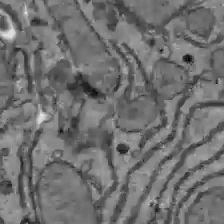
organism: C57BL Mouse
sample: Liver